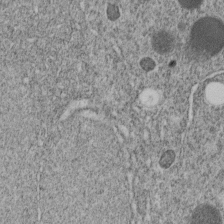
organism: C. elegans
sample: C. elegans embryo early stage